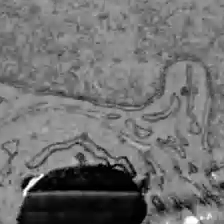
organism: C57BL Mouse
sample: Liver